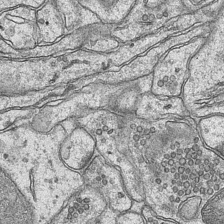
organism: Mouse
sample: CA1 Hippocampus